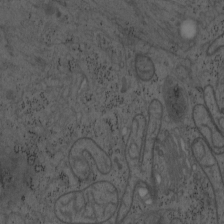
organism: Mouse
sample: OT-I killer T cells with ID8 ovarian cancer cells